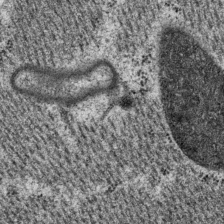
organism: P. pacificus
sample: Pharynx